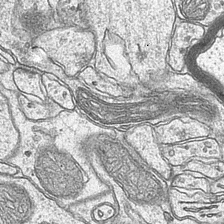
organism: Mouse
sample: CA1 Hippocampus